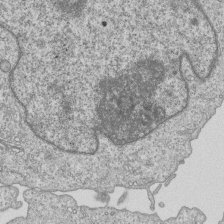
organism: Human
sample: MDA-MB-231 cells